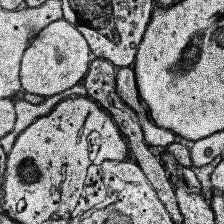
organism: Human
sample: Temporal Lobe